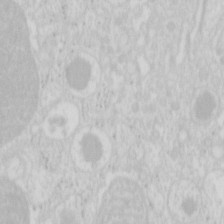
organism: Mouse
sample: Pancreas